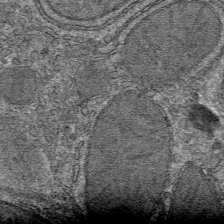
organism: Mouse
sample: Mouse hepatocytes